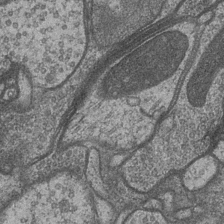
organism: Drosophila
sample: Optic medulla